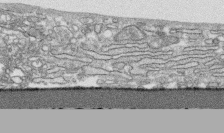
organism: Human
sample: CRL-1474